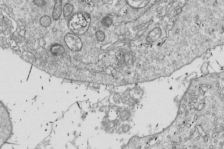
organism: Drosophila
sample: Cell division; meiosis; drosophila spermatocytes